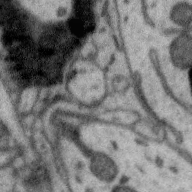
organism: Zebra finch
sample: Brain